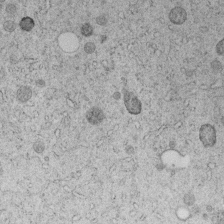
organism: C. elegans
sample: C. elegans embryo early stage